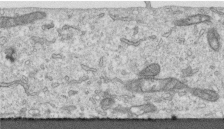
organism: Human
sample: Centriole in RPE cells